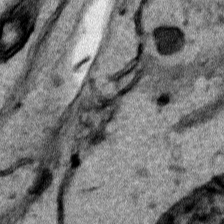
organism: Human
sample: Mitochondria in HCT116 cells